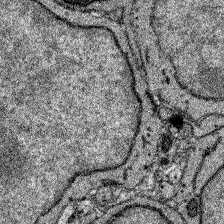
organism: Zebrafish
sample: Larval olfactory bulb